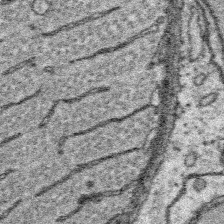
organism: Platynereis dumerilii